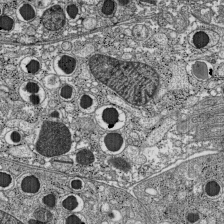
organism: C57BL Mouse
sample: Pancreatic islet